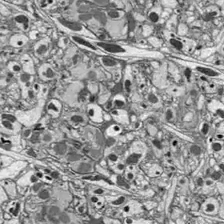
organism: Drosophila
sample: Optic lobe